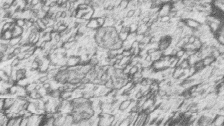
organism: Zebrafish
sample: synaptic ribbons in rod cells and cone cells